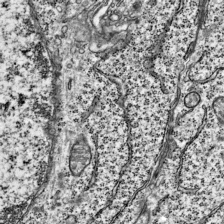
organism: Mouse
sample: Visual Cortex